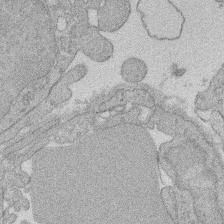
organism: Rat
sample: Salivary granule